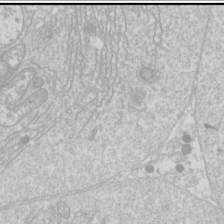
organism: Drosophila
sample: Cell division; meiosis; drosophila spermatocytes